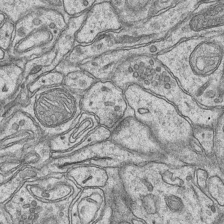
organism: Mouse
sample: CA1 Hippocampus